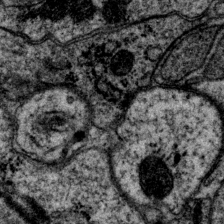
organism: P. pacificus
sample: Pharynx